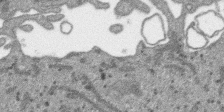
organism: Human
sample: Lung epithelial cells infected with SARS-CoV-2